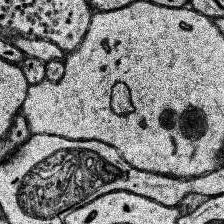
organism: Human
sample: Temporal Lobe